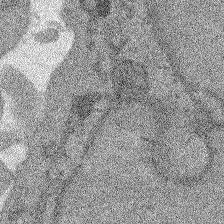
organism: Human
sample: HeLa cells